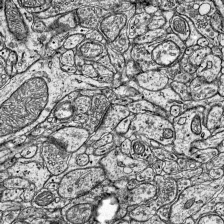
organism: Mouse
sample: Visual Cortex